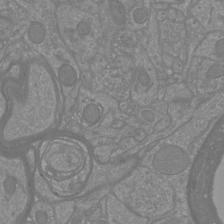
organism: Mouse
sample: Cortical neurons